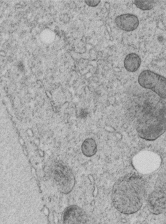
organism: C. elegans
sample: C. elegans embryo early stage